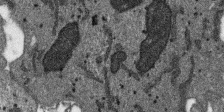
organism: Human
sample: Lung epithelial cells infected with SARS-CoV-2